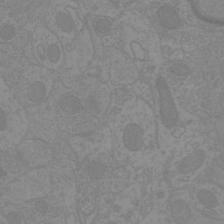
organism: Mouse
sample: Cortical neurons